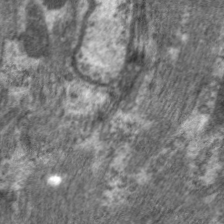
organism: C. elegans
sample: Pharynx